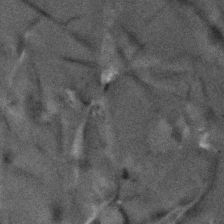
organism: Human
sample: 1205lu cells